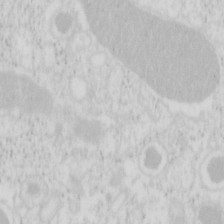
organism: Mouse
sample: Pancreas